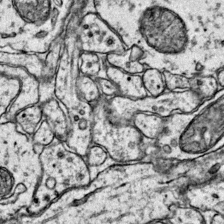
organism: Mouse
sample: Primary visual cortex